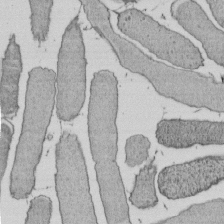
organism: E. coli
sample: Bacterial nucleoid